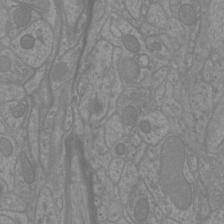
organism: Mouse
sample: Cortical neurons